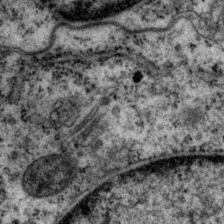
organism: P. pacificus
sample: Pharynx